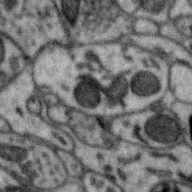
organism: Zebra finch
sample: Brain